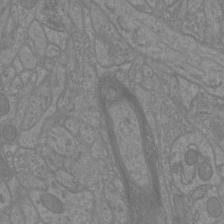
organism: Mouse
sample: Cortical neurons